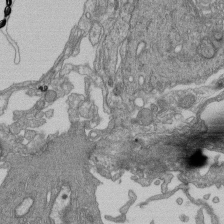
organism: Human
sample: Retinal organoid Rod and Cone cells